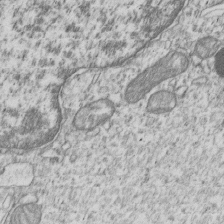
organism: Human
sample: MDA-MB-231 cells